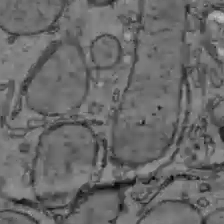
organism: C57BL Mouse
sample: Liver